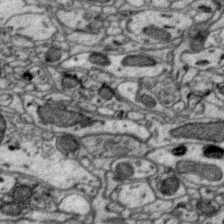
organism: Zebra finch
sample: Brain